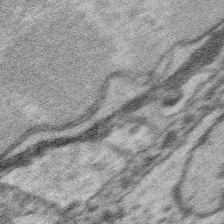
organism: Platynereis dumerilii